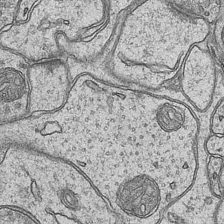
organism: Mouse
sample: CA1 Hippocampus